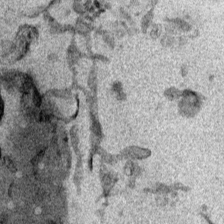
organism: Mouse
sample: Cancer cell death in ED-1 cells